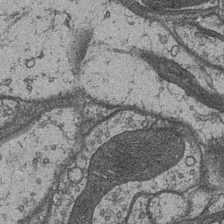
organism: Drosophila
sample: Optic medulla